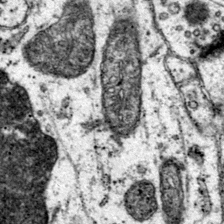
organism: Mouse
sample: Primary visual cortex